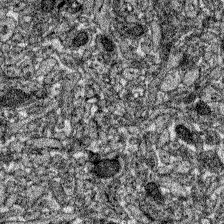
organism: Zebrafish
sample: Larval olfactory bulb